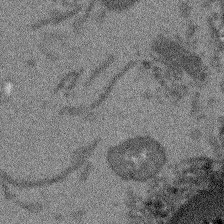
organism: Arabidopsis thaliana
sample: Root tip